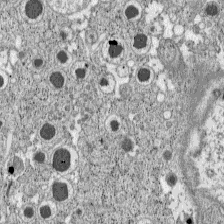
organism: C57BL Mouse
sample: Pancreatic islet